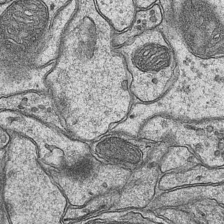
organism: Mouse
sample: CA1 Hippocampus